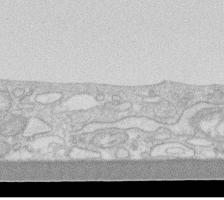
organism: Human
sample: Fibroblast cells